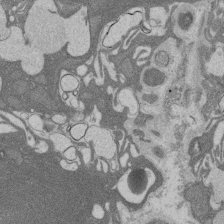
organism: Rat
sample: Salivary granule